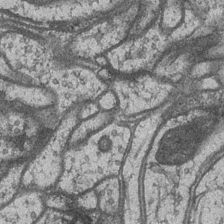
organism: Drosophila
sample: Optic medulla